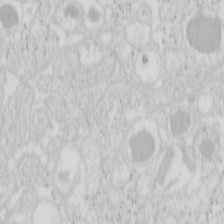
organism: Mouse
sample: Pancreas